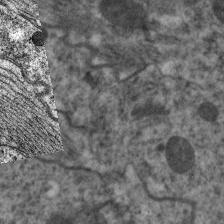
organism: C. elegans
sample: Pharynx